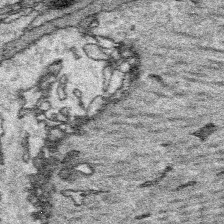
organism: Platynereis dumerilii